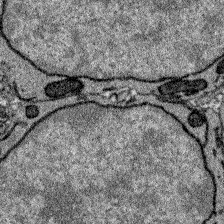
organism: Zebrafish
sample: Larval olfactory bulb